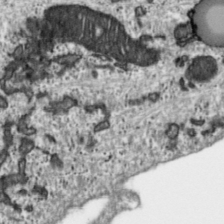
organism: Toxoplasma gondii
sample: Parasites in a vacuole inside a host cell